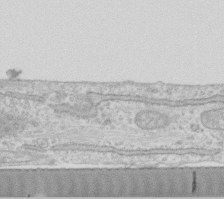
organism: Human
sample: Fibroblast cells